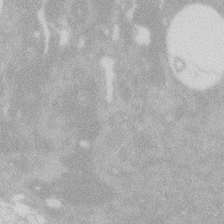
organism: Zebrafish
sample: Macrophage